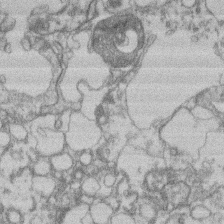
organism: Mouse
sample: T cell stromal cell synapse